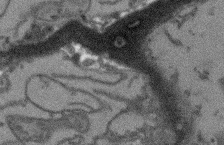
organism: Arabidopsis thaliana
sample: Root tip